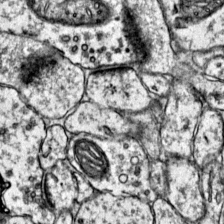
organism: Mouse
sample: Primary visual cortex